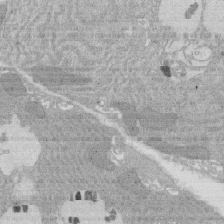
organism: Rat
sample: Salivary granule